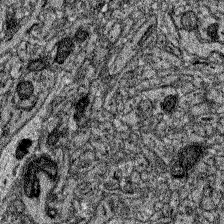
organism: Zebrafish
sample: Larval olfactory bulb